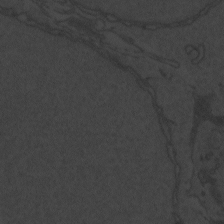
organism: Zebrafish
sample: Macrophage infected with Toxoplasma gondii